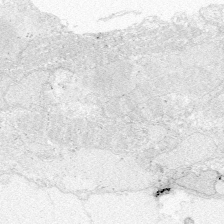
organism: Zebrafish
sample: Whole-Brain